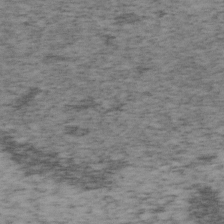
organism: Mouse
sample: OT-I killer T cells with ID8 ovarian cancer cells